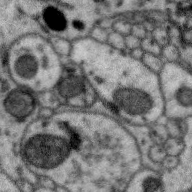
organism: Zebra finch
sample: Brain